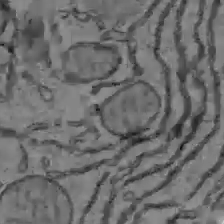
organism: C57BL Mouse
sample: Liver